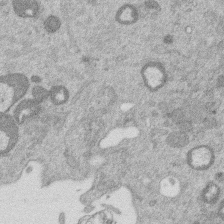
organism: Mouse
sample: Dividing mouse embryo 1 cell stage